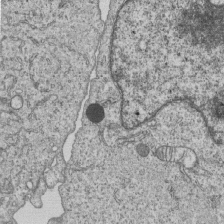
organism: Human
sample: MDA-MB-231 cells